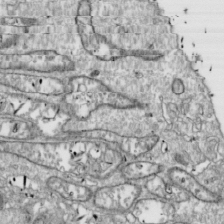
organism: Drosophila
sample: Cell division; meiosis; drosophila spermatocytes